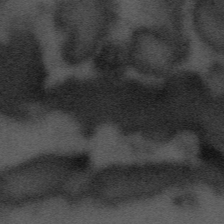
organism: Tuwongella immobilis